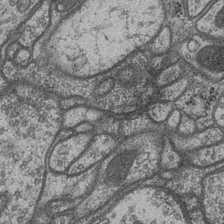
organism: Drosophila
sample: Optic medulla